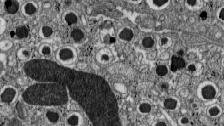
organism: C57BL Mouse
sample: Pancreatic islet